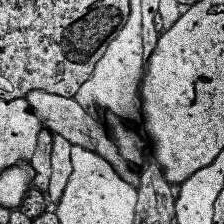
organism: Human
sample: Temporal Lobe